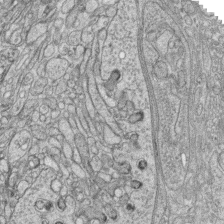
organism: Zebrafish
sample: synaptic ribbons in rod cells and cone cells